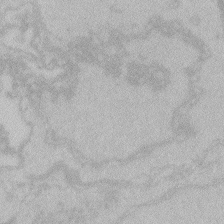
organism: Zebrafish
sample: Macrophage infected with Toxoplasma gondii